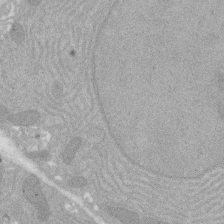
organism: Rat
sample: Salivary granule